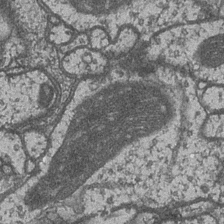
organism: Drosophila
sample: Optic medulla